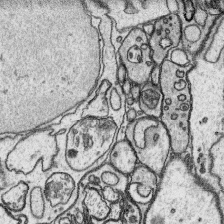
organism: Platynereis dumerilii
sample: Parapodia